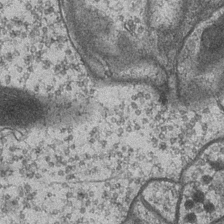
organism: Drosophila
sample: Optic medulla